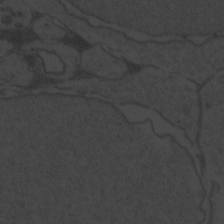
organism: Zebrafish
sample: Macrophage infected with Toxoplasma gondii